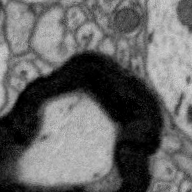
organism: Zebra finch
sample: Brain